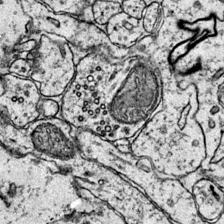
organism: Mouse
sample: Primary visual cortex